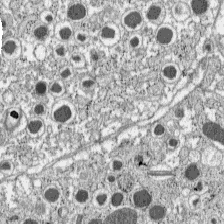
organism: C57BL Mouse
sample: Pancreatic islet